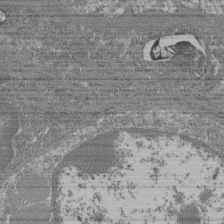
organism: Mouse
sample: Glomerulus